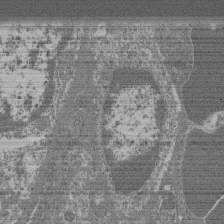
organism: Mouse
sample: Glomerulus